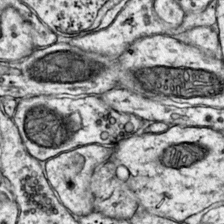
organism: Mouse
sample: Primary visual cortex